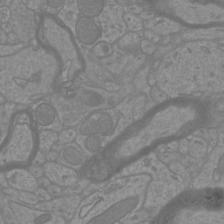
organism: Mouse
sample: Cortical neurons